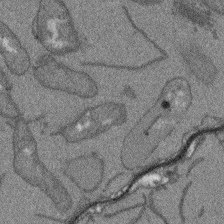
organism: Arabidopsis thaliana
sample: Root tip